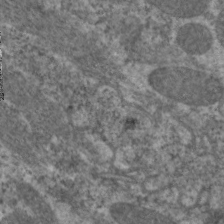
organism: C. elegans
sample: Pharynx